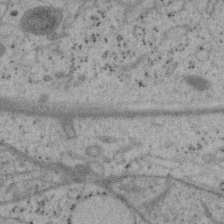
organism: Human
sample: HeLa cells